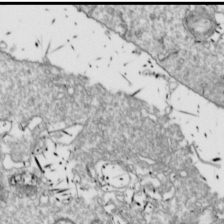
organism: Drosophila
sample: Cell division; meiosis; drosophila spermatocytes